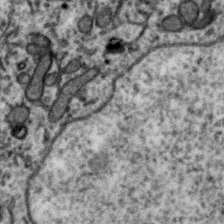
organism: Zebra finch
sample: Brain